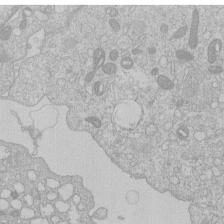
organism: Human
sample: Macrophage cells